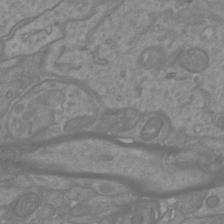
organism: Mouse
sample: Cortical neurons